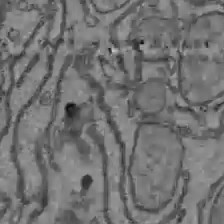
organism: C57BL Mouse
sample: Liver